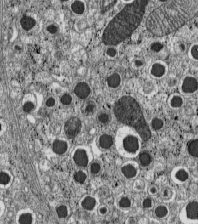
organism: C57BL Mouse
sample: Pancreatic islet